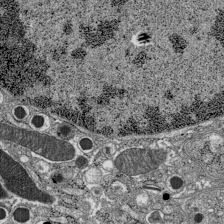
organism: C57BL Mouse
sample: Pancreatic islet